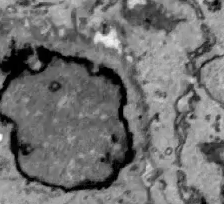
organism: Zebrafish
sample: Actinotrichia fibers